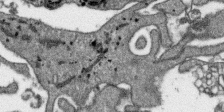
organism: Human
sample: Lung epithelial cells, uninfected (mock) control